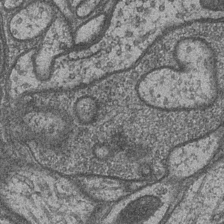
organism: Drosophila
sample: Optic medulla